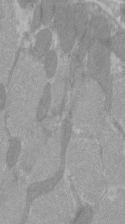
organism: C57BL Mouse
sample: Tibialis anterior muscle cell